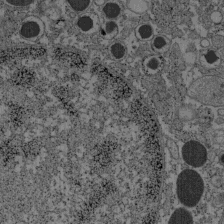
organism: C57BL Mouse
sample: Pancreatic islet